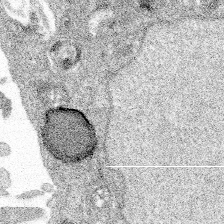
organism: Spongilla lacustris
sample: Multiple